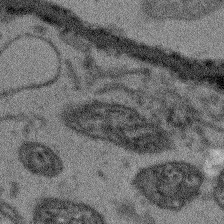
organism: Arabidopsis thaliana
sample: Root tip